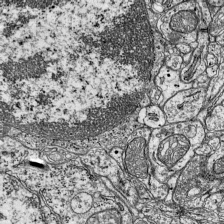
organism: Mouse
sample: Visual Cortex